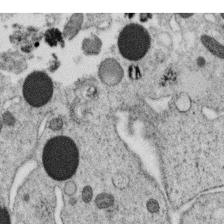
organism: C. elegans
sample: C. elegans oocyte; sperm cells